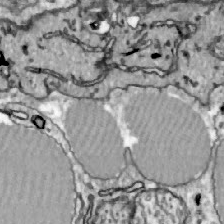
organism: Zebrafish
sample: Actinotrichia fibers